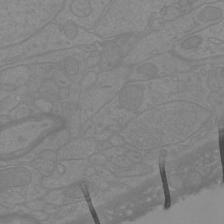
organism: Mouse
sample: Cortical neurons